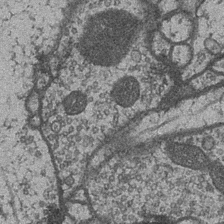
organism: Drosophila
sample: Optic medulla